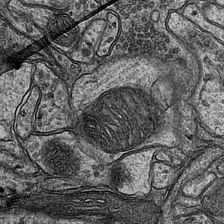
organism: Mouse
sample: CA1 Hippocampus